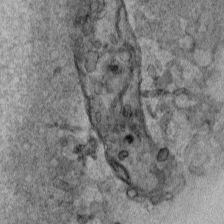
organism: Human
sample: Mitochondria in HCT116 cells